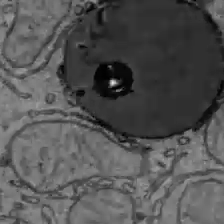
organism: C57BL Mouse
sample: Liver